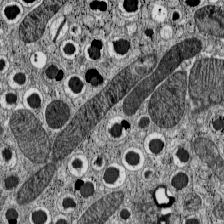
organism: C57BL Mouse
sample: Pancreatic islet